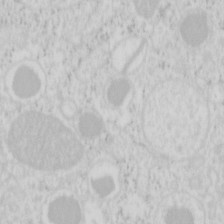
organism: Mouse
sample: Pancreas